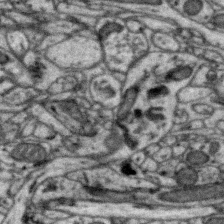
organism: Zebra finch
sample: Brain